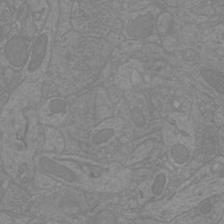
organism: Mouse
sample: Cortical neurons